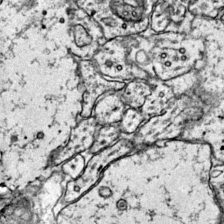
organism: Mouse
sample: Primary visual cortex